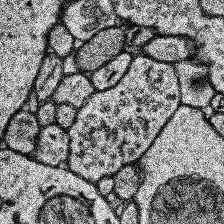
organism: Human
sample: Temporal Lobe